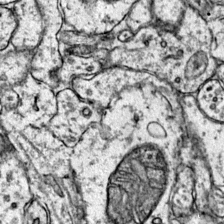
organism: Mouse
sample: Primary visual cortex